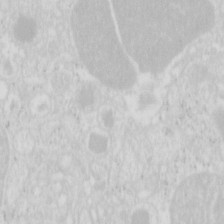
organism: Mouse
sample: Pancreas